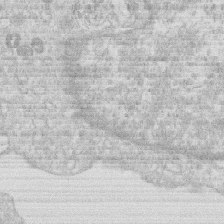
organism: Human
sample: Macrophage cells